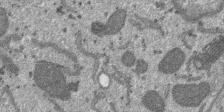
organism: Human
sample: Lung epithelial cells infected with SARS-CoV-2